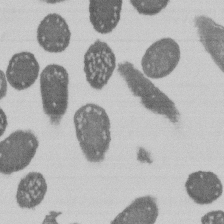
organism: E. coli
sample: Bacterial nucleoid